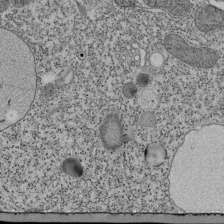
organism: Tetrahymena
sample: Cilia in tetrahymena